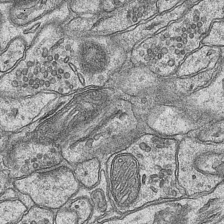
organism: Mouse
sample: CA1 Hippocampus